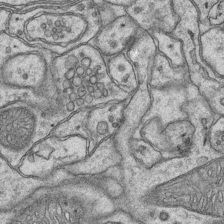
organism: Mouse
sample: CA1 Hippocampus